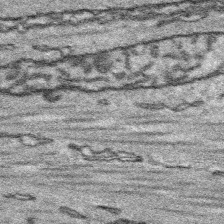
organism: Platynereis dumerilii